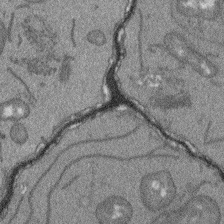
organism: Arabidopsis thaliana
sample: Root tip